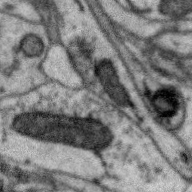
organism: Zebra finch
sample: Brain